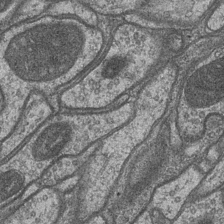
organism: Drosophila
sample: Optic medulla